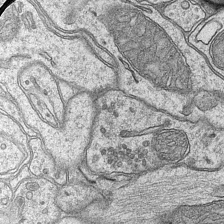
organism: Mouse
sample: CA1 Hippocampus